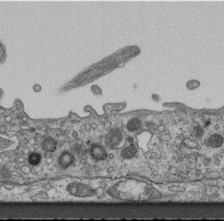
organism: Mouse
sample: Centriole in ependymal cells